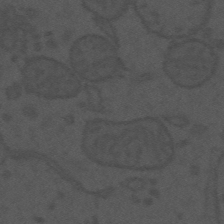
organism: Mouse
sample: Suprachiasmatic nucleus